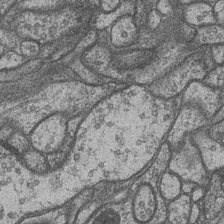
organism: Drosophila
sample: Optic medulla